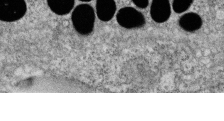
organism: Zebrafish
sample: Cilia; retinal pigment epithelium